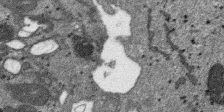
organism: Human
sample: Lung epithelial cells infected with SARS-CoV-2